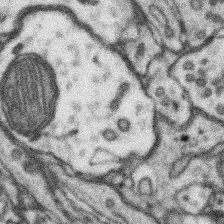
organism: Mouse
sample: Somatosensory cortex neuropil